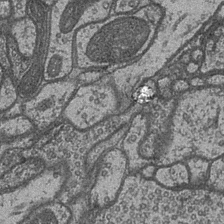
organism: Drosophila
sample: Optic medulla